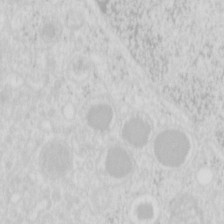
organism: Mouse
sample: Pancreas